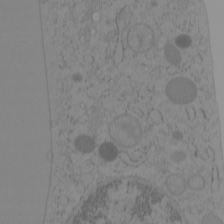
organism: Human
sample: HeLa cells